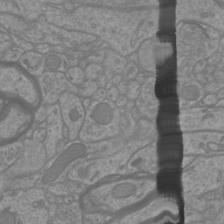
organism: Mouse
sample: Cortical neurons